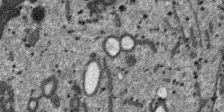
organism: Human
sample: Lung epithelial cells infected with SARS-CoV-2